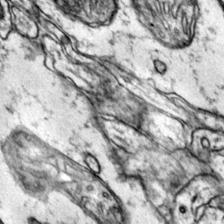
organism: Mouse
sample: Primary visual cortex